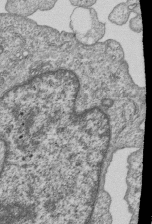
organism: Human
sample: MDA-MB-231 cells